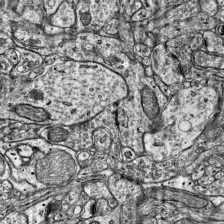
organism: Mouse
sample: Visual Cortex